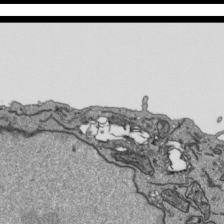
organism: Human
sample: Mitochondria in HCT116 cells